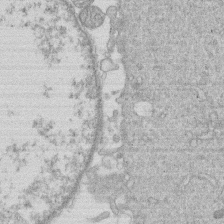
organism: Human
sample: Macrophage cells